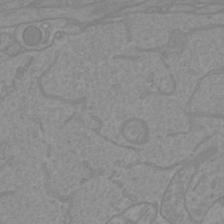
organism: Mouse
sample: Cortical neurons